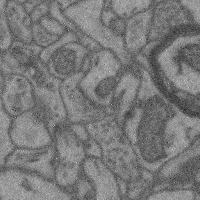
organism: Mouse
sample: Cerebral cortex